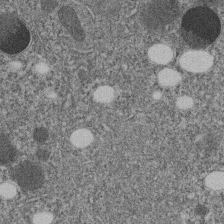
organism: C. elegans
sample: C. elegans embryo early stage